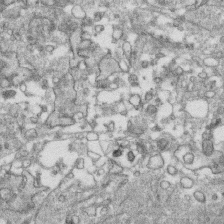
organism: Human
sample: CRL-1474